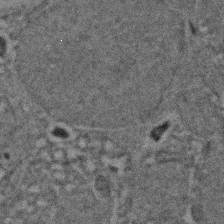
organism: Zebrafish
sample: Zebrafish embryo